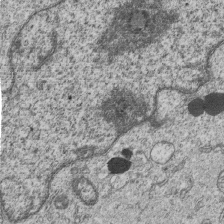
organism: Human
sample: MDA-MB-231 cells